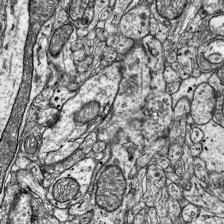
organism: Mouse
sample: Visual Cortex